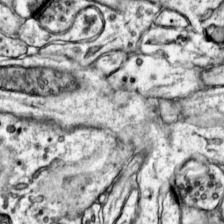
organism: Mouse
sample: Primary visual cortex